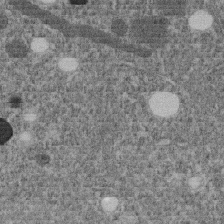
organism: C. elegans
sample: C. elegans embryo early stage